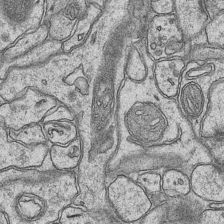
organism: Mouse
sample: CA1 Hippocampus